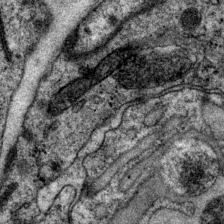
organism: P. pacificus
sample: Pharynx